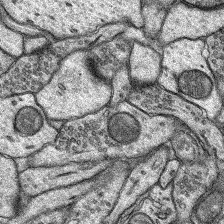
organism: Rat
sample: Hippocampus